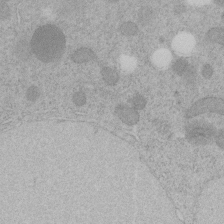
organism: C. elegans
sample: C. elegans embryo early stage